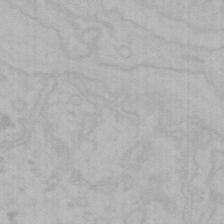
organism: Mouse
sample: Choroid plexus